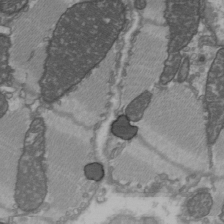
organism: C57BL Mouse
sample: Heart